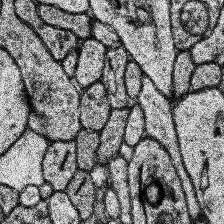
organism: Human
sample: Temporal Lobe